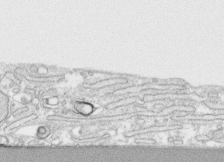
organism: Human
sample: CRL-1474